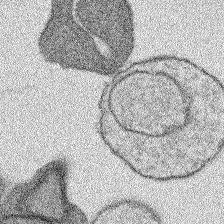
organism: Human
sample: HeLa cells